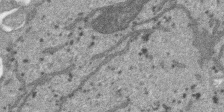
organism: Human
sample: Lung epithelial cells infected with SARS-CoV-2